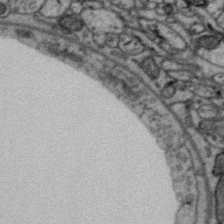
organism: Zebra finch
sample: Brain